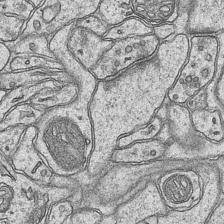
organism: Mouse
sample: CA1 Hippocampus